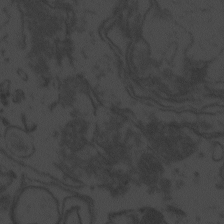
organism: Zebrafish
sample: Macrophage infected with Toxoplasma gondii